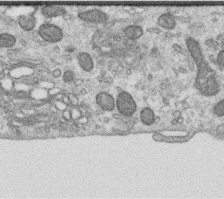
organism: Human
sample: Centriole in RPE cells